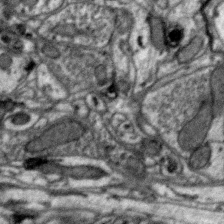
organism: Zebra finch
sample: Brain